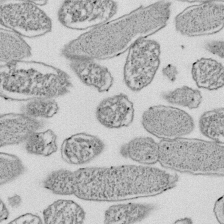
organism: E. coli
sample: Bacterial nucleoid